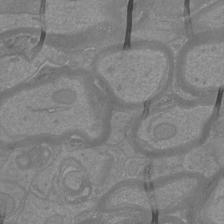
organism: Mouse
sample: Cortical neurons